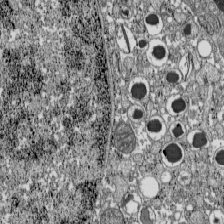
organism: C57BL Mouse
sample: Pancreatic islet